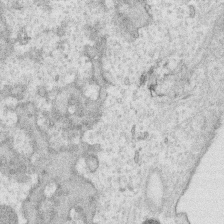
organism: Human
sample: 1205lu cells